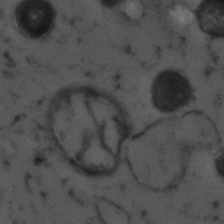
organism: Zebrafish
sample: Zebrafish embryo